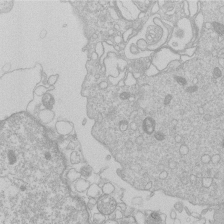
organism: Human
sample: Macrophage cells